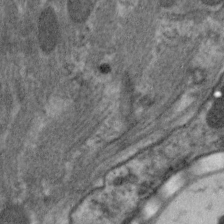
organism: C. elegans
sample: Pharynx